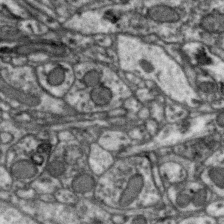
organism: Zebra finch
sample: Brain